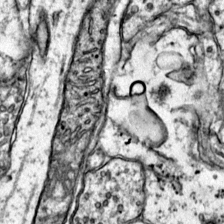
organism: Mouse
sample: Primary visual cortex